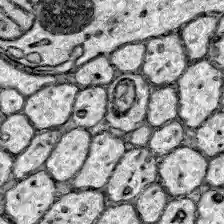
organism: Zebrafish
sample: Brain